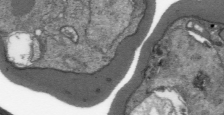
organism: Plasmodium falciparum